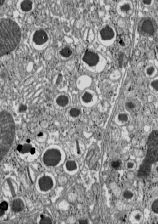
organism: C57BL Mouse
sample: Pancreatic islet